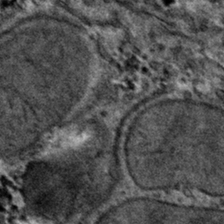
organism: Mouse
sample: Mouse hepatocytes